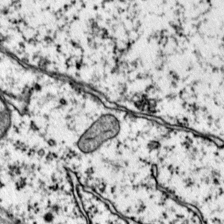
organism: Mouse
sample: Primary visual cortex